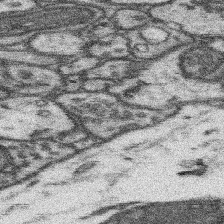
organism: Mouse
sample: Somatosensory cortex neuropil